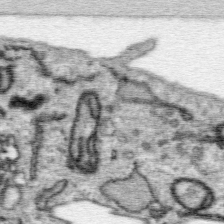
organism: Human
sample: HeLa cells